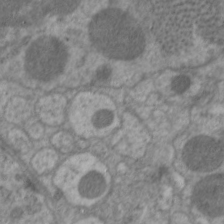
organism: C. elegans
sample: Pharynx